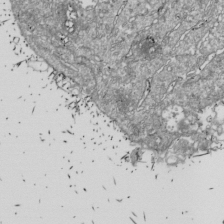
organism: Drosophila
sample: Cell division; meiosis; drosophila spermatocytes